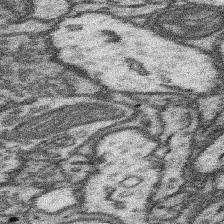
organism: Mouse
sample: Somatosensory cortex neuropil